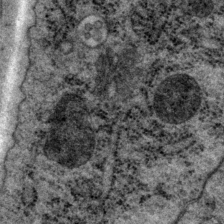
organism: P. pacificus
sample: Pharynx